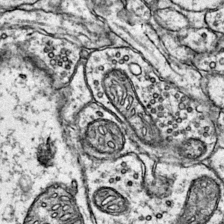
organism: Mouse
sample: Primary visual cortex